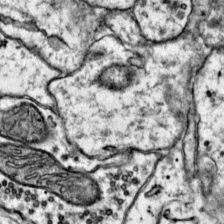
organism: Mouse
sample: Primary visual cortex